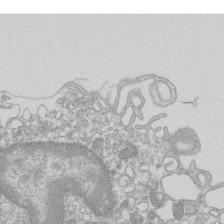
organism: Mouse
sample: Macrophages